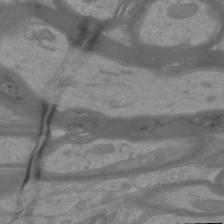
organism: Mouse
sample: Cortical neurons